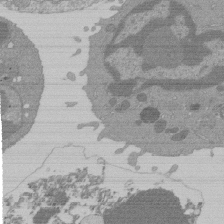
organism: Mouse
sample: Activated Pmel transgenic CD8+ T Cells